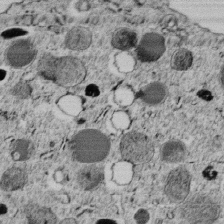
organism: C. elegans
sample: C. elegans embryo early stage